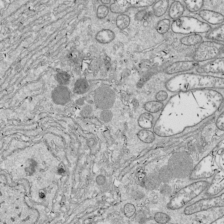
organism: Drosophila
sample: Cell division; meiosis; drosophila spermatocytes